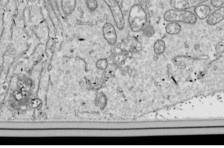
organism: Drosophila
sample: Cell division; meiosis; drosophila spermatocytes